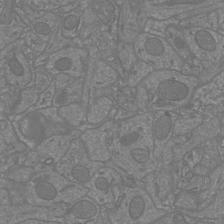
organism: Mouse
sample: Cortical neurons